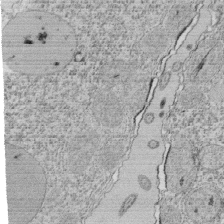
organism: Tetrahymena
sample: Cilia in tetrahymena